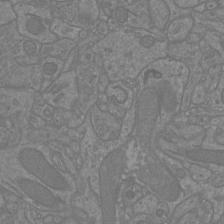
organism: Mouse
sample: Cortical neurons